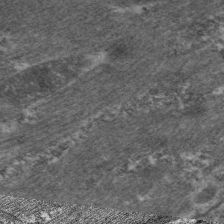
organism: C. elegans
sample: Pharynx